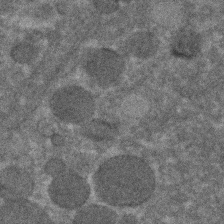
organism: C. elegans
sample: C. elegans embryo